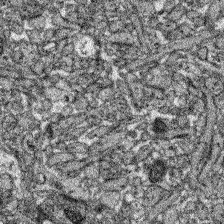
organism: Zebrafish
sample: Larval olfactory bulb